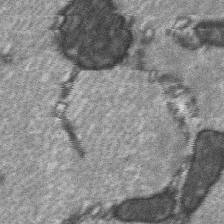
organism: C57BL Mouse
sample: Soleus